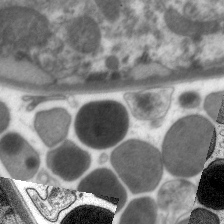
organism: C. elegans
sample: Pharynx